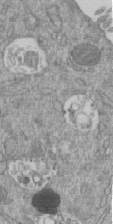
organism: Mouse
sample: ED-1 cell nuclei; centrioles